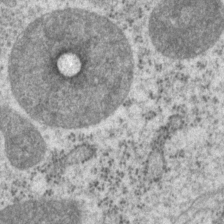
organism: P. pacificus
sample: Pharynx